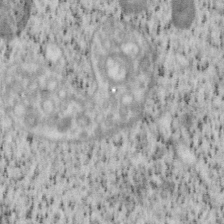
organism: Mouse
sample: OT-I killer T cells with ID8 ovarian cancer cells